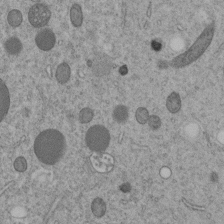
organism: C. elegans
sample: C. elegans embryo early stage